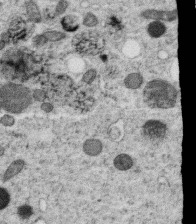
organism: C. elegans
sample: C. elegans oocyte; sperm cells